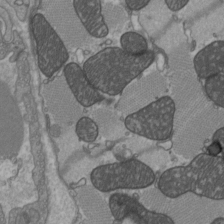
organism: C57BL Mouse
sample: Heart